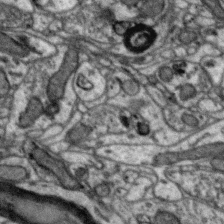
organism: Zebra finch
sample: Brain